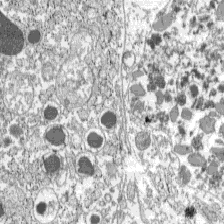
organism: C57BL Mouse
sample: Pancreatic islet